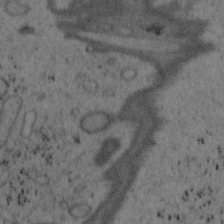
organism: Human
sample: HeLa cells